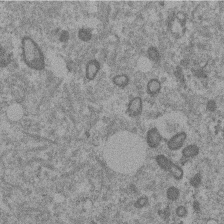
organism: Mouse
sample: Dividing mouse embryo 1 cell stage